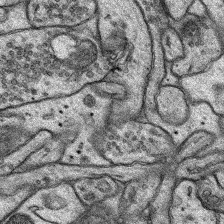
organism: Rat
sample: Hippocampus